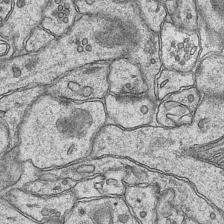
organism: Mouse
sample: CA1 Hippocampus